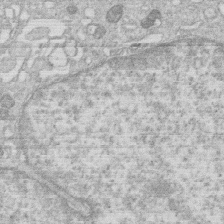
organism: Human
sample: Macrophage cells